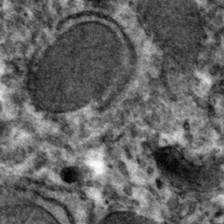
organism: Mouse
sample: Mouse hepatocytes